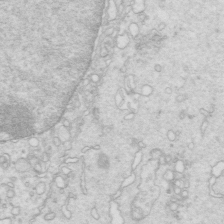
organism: Mouse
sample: Multiciliated cells